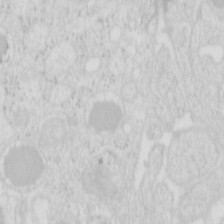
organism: Mouse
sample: Pancreas